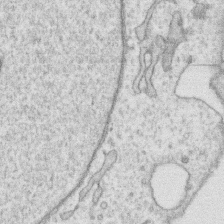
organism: Human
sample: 1205lu cells